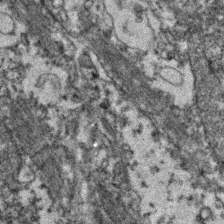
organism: Zebrafish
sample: Zebrafish embryo